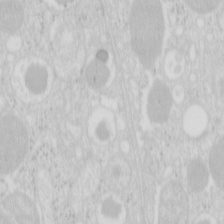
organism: Mouse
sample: Pancreas